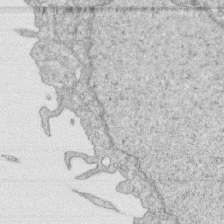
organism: Human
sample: HeLa cell HIV synapse